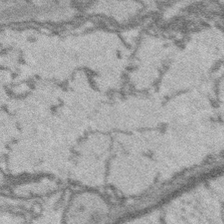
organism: Platynereis dumerilii